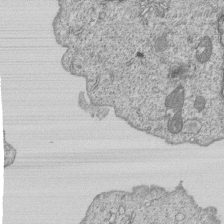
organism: Human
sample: MDA-MB-231 cells